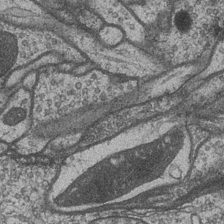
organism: Drosophila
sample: Optic medulla